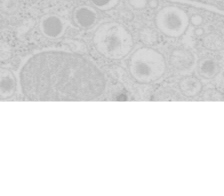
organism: Mouse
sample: Pancreas